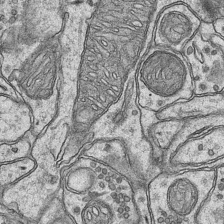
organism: Mouse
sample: CA1 Hippocampus